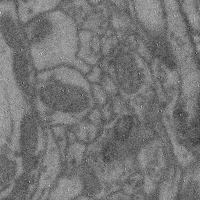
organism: Mouse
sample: Cerebral cortex